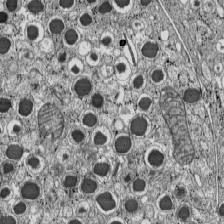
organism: C57BL Mouse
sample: Pancreatic islet